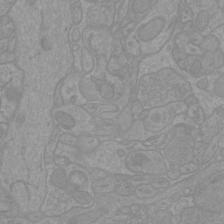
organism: Mouse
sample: Cortical neurons